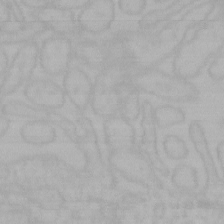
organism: Mouse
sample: Choroid plexus